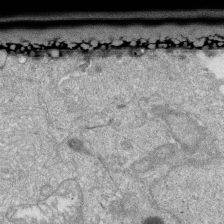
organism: Human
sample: HeLa cell HIV synapse